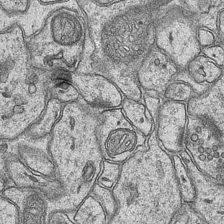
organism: Mouse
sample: CA1 Hippocampus